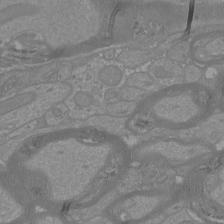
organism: Mouse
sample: Cortical neurons